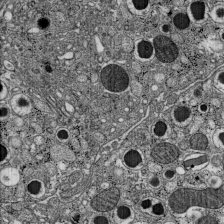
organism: C57BL Mouse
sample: Pancreatic islet